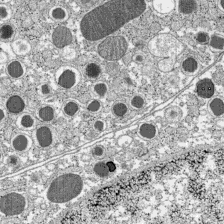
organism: C57BL Mouse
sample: Pancreatic islet